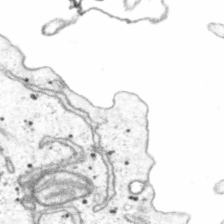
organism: Human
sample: HeLa cells